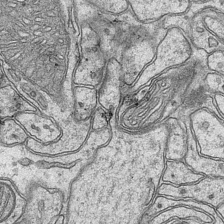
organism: Mouse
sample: CA1 Hippocampus